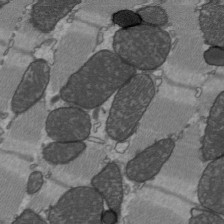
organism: C57BL Mouse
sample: Heart